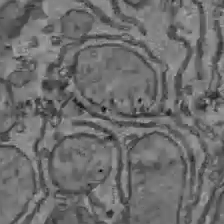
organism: C57BL Mouse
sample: Liver